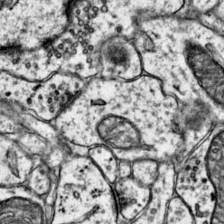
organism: Mouse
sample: Primary visual cortex